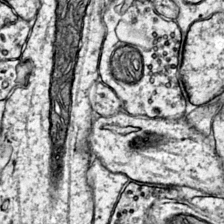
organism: Mouse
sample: Primary visual cortex